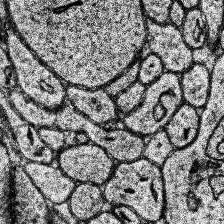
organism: Human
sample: Temporal Lobe